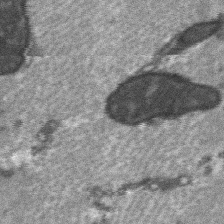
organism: C57BL Mouse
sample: Soleus